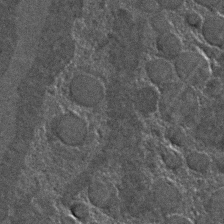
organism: C. elegans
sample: C. elegans embryo